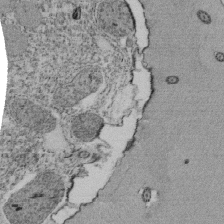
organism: Tetrahymena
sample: Cilia in tetrahymena